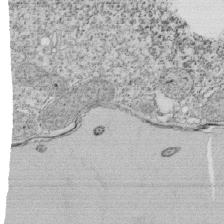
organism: Tetrahymena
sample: Cilia in tetrahymena